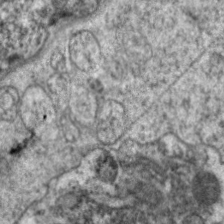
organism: C. elegans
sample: Pharynx